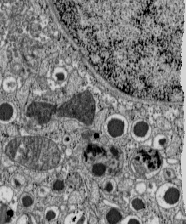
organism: C57BL Mouse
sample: Pancreatic islet